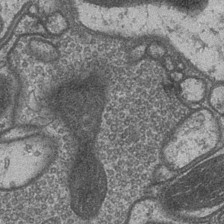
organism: Drosophila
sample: Optic medulla